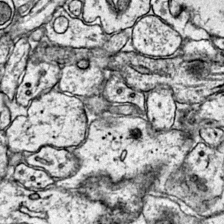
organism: Mouse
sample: Primary visual cortex